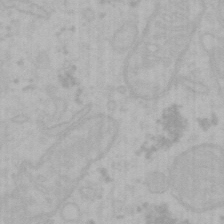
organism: Mouse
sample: Choroid plexus